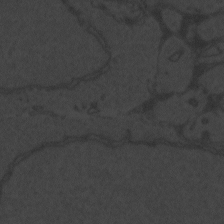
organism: Zebrafish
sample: Macrophage infected with Toxoplasma gondii